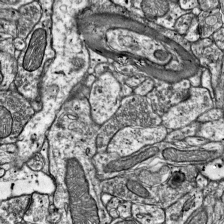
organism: Mouse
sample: Visual Cortex